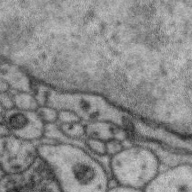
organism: Zebra finch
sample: Brain